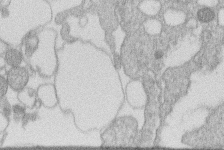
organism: Human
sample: Macrophage cells